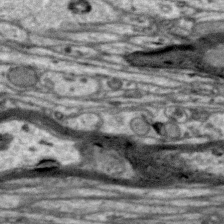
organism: Zebra finch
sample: Brain